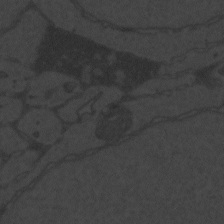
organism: Zebrafish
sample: Macrophage infected with Toxoplasma gondii